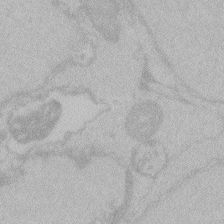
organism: Zebrafish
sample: Macrophage infected with Toxoplasma gondii